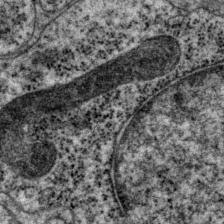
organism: P. pacificus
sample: Pharynx